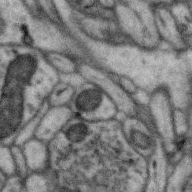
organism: Zebra finch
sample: Brain